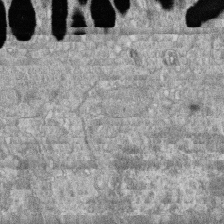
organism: Zebrafish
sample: Cilia; retinal pigment epithelium